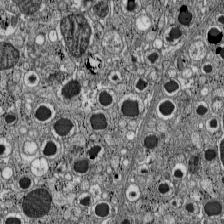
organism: C57BL Mouse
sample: Pancreatic islet